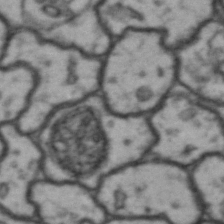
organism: Drosophila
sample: Brain